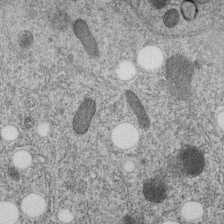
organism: C. elegans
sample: C. elegans embryo early stage